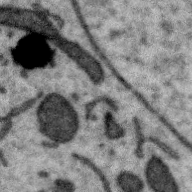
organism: Zebra finch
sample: Brain